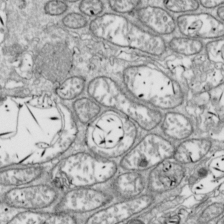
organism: Drosophila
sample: Cell division; meiosis; drosophila spermatocytes